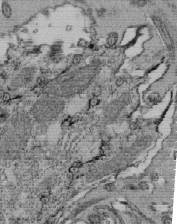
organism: Tetrahymena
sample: Cilia in tetrahymena